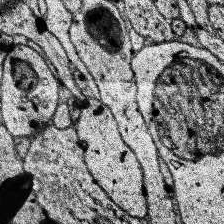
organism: Human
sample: Temporal Lobe